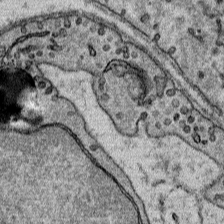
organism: Mouse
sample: Mouse Salivary gland